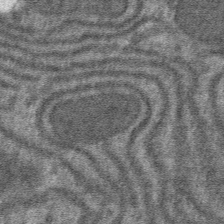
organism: Mouse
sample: Mouse hepatocytes